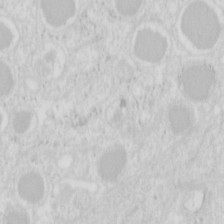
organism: Mouse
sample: Pancreas